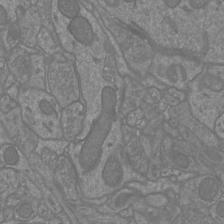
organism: Mouse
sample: Cortical neurons